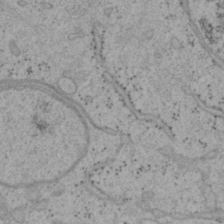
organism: Human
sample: HeLa cells